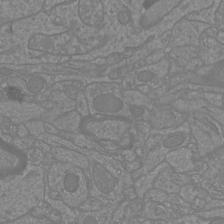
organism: Mouse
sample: Cortical neurons